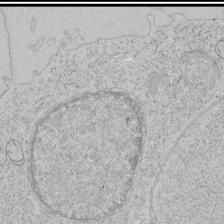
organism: Human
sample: Mitochondria in HCT116 cells